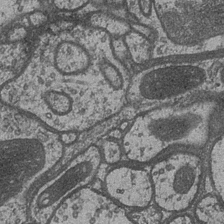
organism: Drosophila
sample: Optic medulla